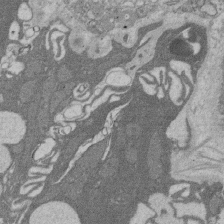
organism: Rat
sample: Salivary granule